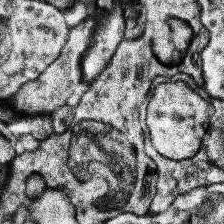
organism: Human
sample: Temporal Lobe